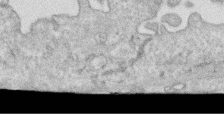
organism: Human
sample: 1205lu cells